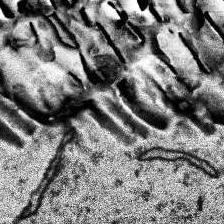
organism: Human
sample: Temporal Lobe